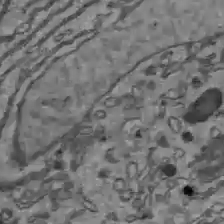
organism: C57BL Mouse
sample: Liver